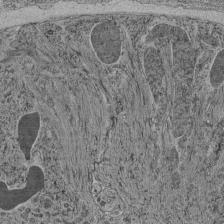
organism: C. elegans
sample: C. elegans pharynx